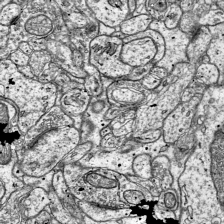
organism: Mouse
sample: Visual Cortex